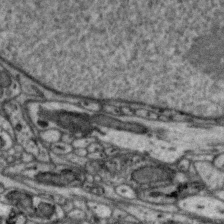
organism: Zebra finch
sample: Brain